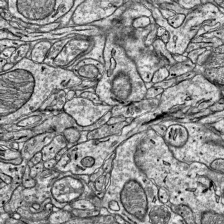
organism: Mouse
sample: Visual Cortex